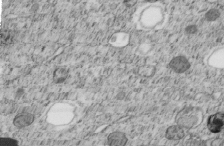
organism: C. elegans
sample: C. elegans embryo early stage